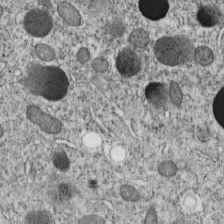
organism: C. elegans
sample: C. elegans embryo early stage